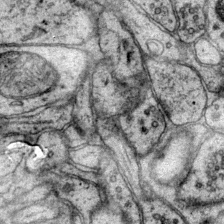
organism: Mouse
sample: Primary visual cortex